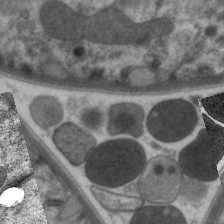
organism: C. elegans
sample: Pharynx